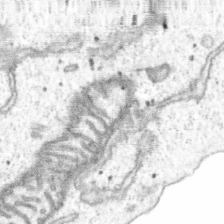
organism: Human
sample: HeLa cells